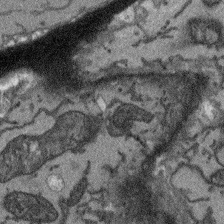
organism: Arabidopsis thaliana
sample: Root tip